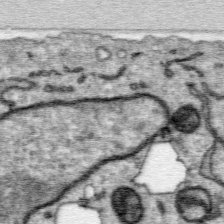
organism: Human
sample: HeLa cells